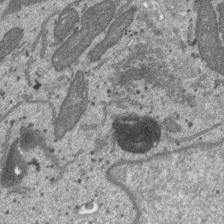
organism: Human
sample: Lung epithelial cells infected with SARS-CoV-2